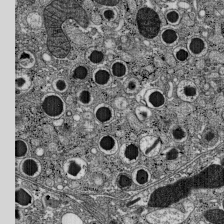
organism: C57BL Mouse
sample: Pancreatic islet